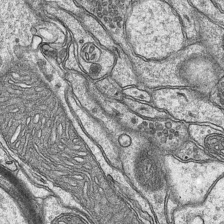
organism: Mouse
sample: CA1 Hippocampus